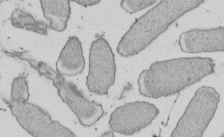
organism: E. coli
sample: Bacterial nucleoid